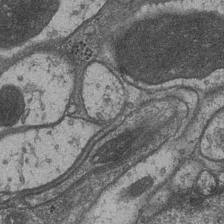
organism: Drosophila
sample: Optic medulla